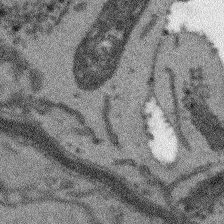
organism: Arabidopsis thaliana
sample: Root tip